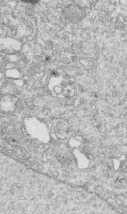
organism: Human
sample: HeLa cell HIV synapse